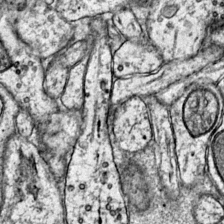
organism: Mouse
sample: Primary visual cortex